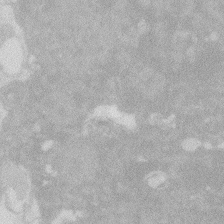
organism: Zebrafish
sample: Macrophage